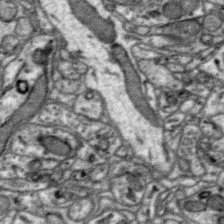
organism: Zebra finch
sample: Brain